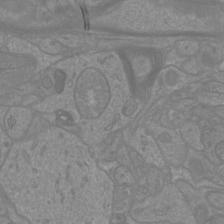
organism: Mouse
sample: Cortical neurons